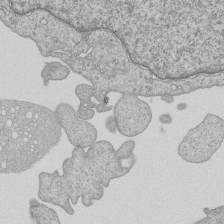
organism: Human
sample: MDA-MB-231 cells